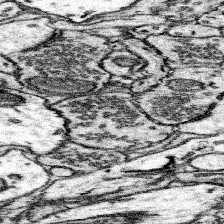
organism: Mouse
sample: Somatosensory cortex neuropil